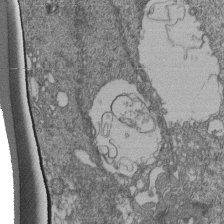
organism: Human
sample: Retinal organoid Rod and Cone cells